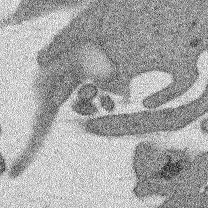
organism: Human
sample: HeLa cells